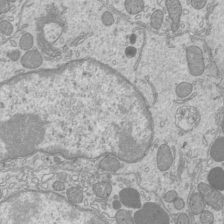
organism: Mouse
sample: Cilia; mouse epididymis